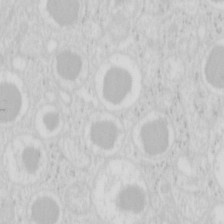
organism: Mouse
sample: Pancreas